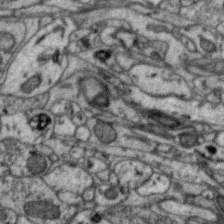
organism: Zebra finch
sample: Brain